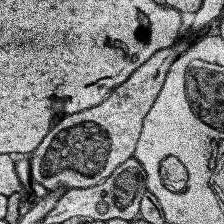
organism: Human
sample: Temporal Lobe